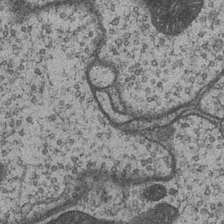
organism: Drosophila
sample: Optic medulla